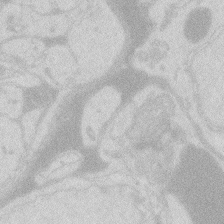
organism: Zebrafish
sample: Macrophage